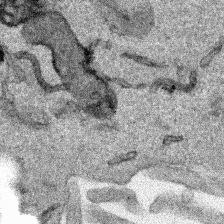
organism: Human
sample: Mitochondria in HCT116 cells